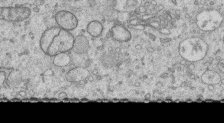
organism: Human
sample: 1205lu cells